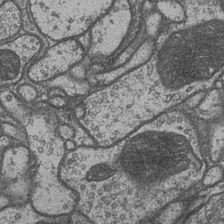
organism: Drosophila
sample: Optic medulla